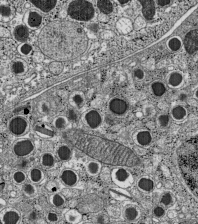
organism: C57BL Mouse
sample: Pancreatic islet